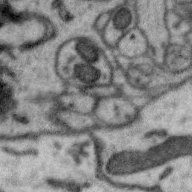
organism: Zebra finch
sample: Brain